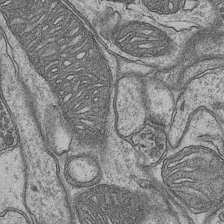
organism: Mouse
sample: CA1 Hippocampus